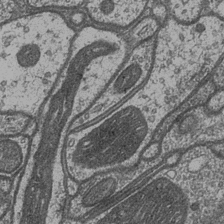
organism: Drosophila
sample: Optic medulla